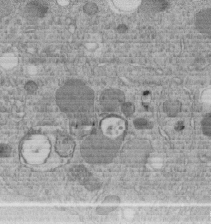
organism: C. elegans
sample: C. elegans embryo early stage